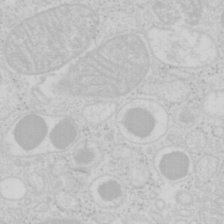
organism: Mouse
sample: Pancreas